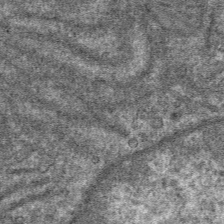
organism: Mouse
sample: Mouse hepatocytes